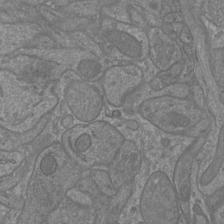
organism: Mouse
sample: Cortical neurons